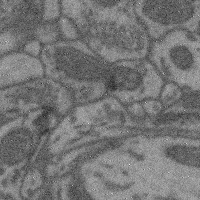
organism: Mouse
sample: Cerebral cortex